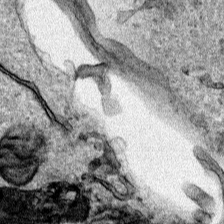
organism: Human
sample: Mitochondria in HCT116 cells